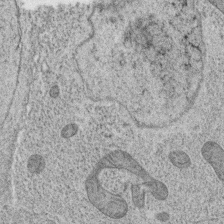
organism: C. elegans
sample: C. elegans oocyte; sperm cells